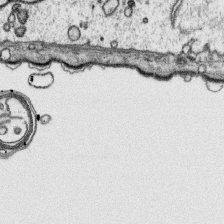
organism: Platynereis dumerilii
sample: Parapodia